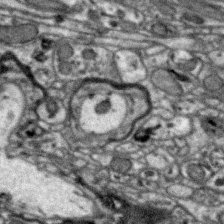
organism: Zebra finch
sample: Brain